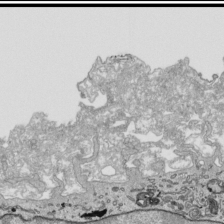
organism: Human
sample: Mitochondria in HCT116 cells